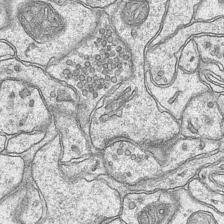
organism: Mouse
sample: CA1 Hippocampus